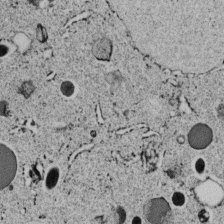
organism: C. elegans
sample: C. elegans embryo early stage